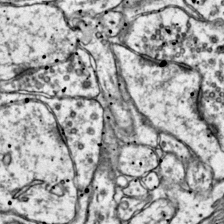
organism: Mouse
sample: Primary visual cortex